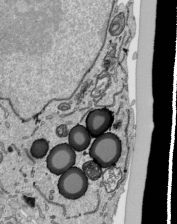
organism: Human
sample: Mitochondria in HCT116 cells